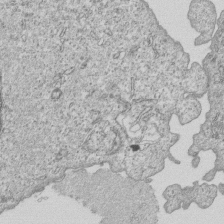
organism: Human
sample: MDA-MB-231 cells